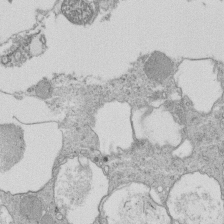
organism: Tetrahymena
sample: Cilia in tetrahymena